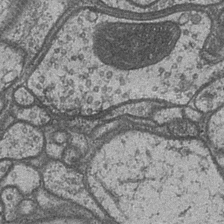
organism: Drosophila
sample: Optic medulla